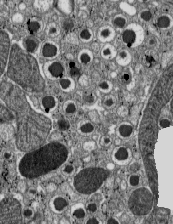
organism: C57BL Mouse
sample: Pancreatic islet